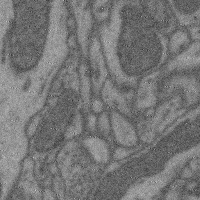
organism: Mouse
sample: Cerebral cortex